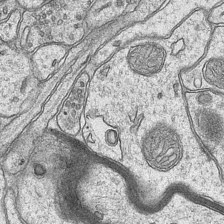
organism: Mouse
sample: CA1 Hippocampus